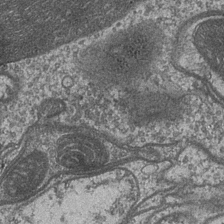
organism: Drosophila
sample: Optic medulla